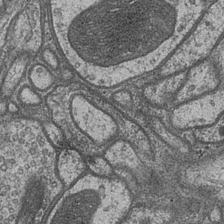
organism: Drosophila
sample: Optic medulla